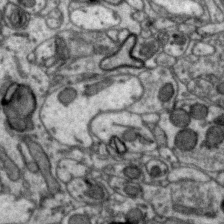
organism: Zebra finch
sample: Brain